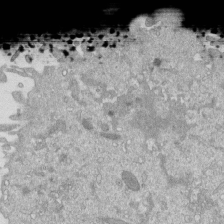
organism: Mouse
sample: ED-1 cell nuclei; centrioles